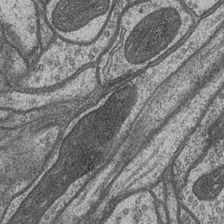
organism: Drosophila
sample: Optic medulla